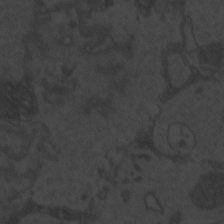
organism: Zebrafish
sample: Macrophage infected with Toxoplasma gondii